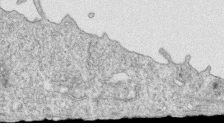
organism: Human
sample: HeLa cell HIV synapse